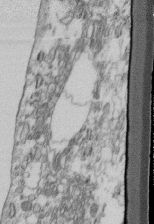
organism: Mouse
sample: Cilia; retinal pigment epithelium